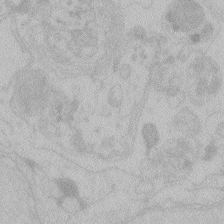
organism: Zebrafish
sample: Macrophage infected with Toxoplasma gondii